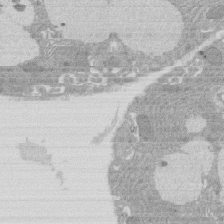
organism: Rat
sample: Salivary granule